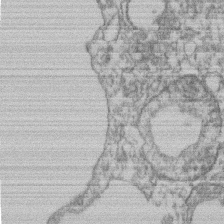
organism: Mouse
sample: T cell stromal cell synapse